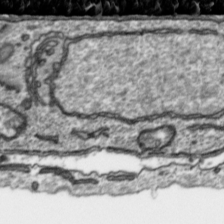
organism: Toxoplasma gondii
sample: Parasites in a vacuole inside a host cell